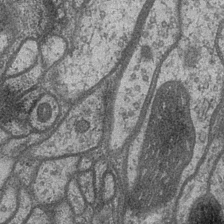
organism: Drosophila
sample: Optic medulla